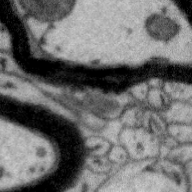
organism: Zebra finch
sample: Brain